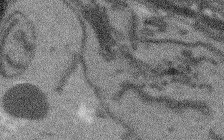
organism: Arabidopsis thaliana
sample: Root tip